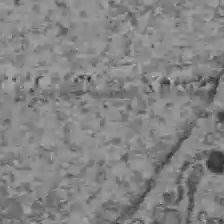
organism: C57BL Mouse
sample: Liver